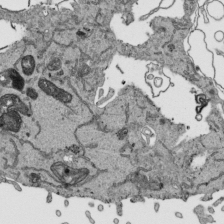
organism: Human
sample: Mitochondria in HCT116 cells